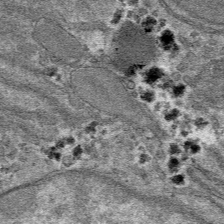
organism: Mouse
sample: Mouse hepatocytes